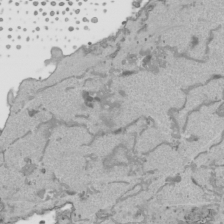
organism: Human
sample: Mitochondria in HCT116 cells